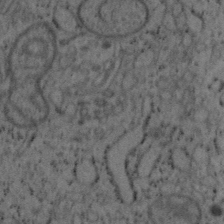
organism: Human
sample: HeLa cells